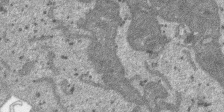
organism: Human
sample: Lung epithelial cells infected with SARS-CoV-2